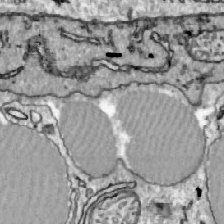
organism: Zebrafish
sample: Actinotrichia fibers